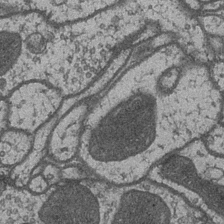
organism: Drosophila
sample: Optic medulla